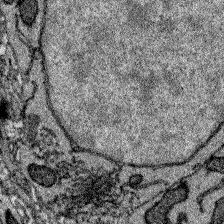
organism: Zebrafish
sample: Larval olfactory bulb